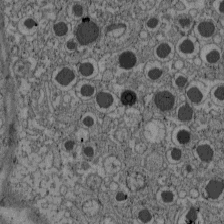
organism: C57BL Mouse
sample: Pancreatic islet